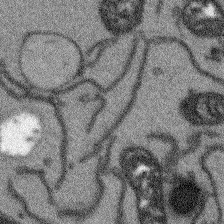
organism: Arabidopsis thaliana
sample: Root tip